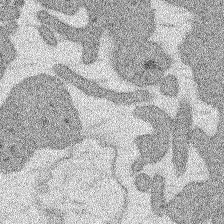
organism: Human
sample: HeLa cells